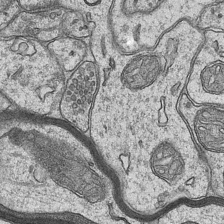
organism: Mouse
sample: CA1 Hippocampus